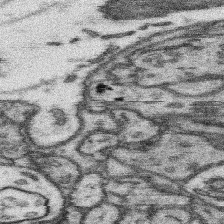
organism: Mouse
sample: Somatosensory cortex neuropil